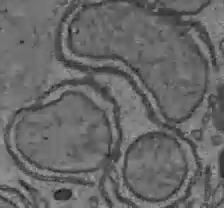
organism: C57BL Mouse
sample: Liver